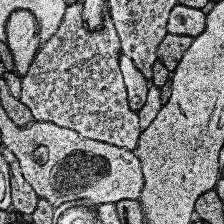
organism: Human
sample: Temporal Lobe